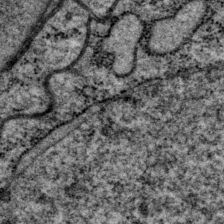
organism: P. pacificus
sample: Pharynx